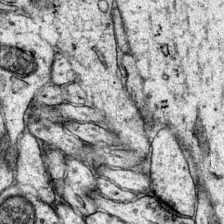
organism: Mouse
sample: Primary visual cortex